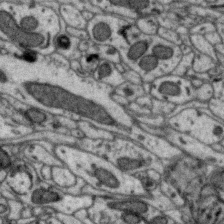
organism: Zebra finch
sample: Brain